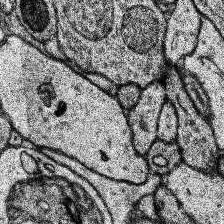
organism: Human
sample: Temporal Lobe